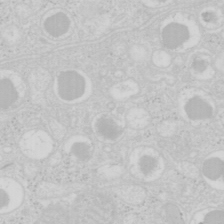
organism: Mouse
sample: Pancreas